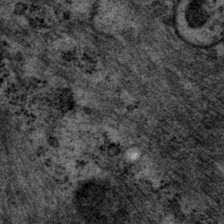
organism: P. pacificus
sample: Pharynx